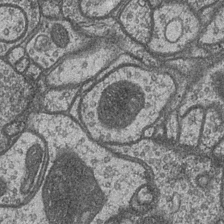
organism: Drosophila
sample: Optic medulla